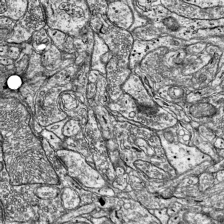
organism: Mouse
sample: Visual Cortex